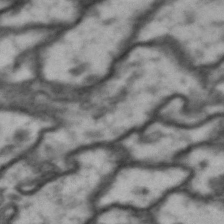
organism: Drosophila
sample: Brain